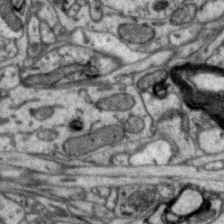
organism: Zebra finch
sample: Brain